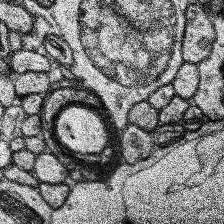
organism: Human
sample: Temporal Lobe